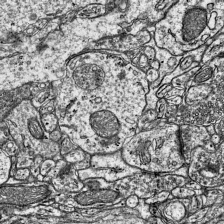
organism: Mouse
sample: Visual Cortex